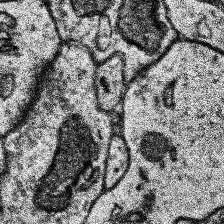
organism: Human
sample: Temporal Lobe